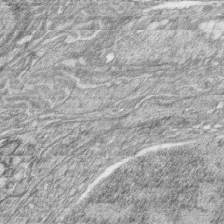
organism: Zebrafish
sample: synaptic ribbons in rod cells and cone cells